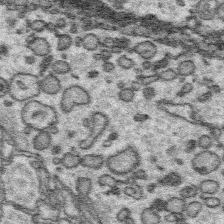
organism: Platynereis dumerilii